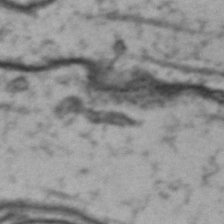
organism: Drosophila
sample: Brain